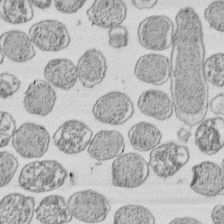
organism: E. coli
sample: Bacterial nucleoid